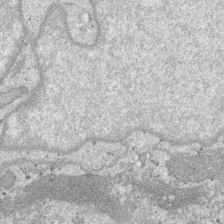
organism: Human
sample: Lung epithelial cells infected with SARS-CoV-2